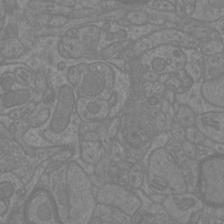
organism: Mouse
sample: Cortical neurons